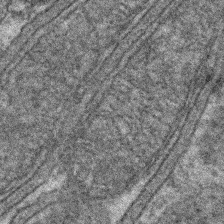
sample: Kidney